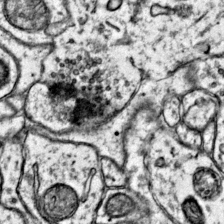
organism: Mouse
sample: Primary visual cortex